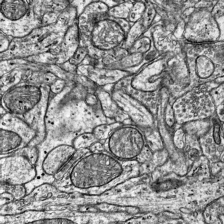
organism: Mouse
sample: Visual Cortex